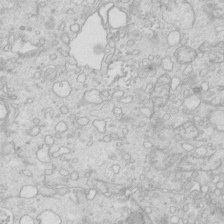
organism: Mouse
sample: Multiciliated cells